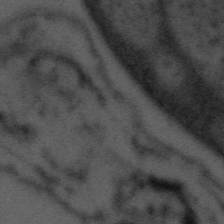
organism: Tuwongella immobilis